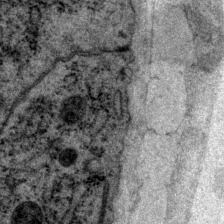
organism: P. pacificus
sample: Pharynx